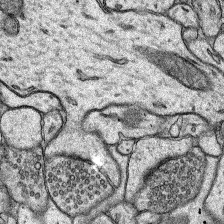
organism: Rat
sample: Hippocampus